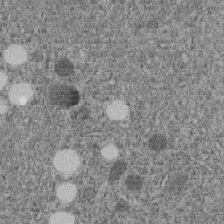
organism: C. elegans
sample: C. elegans embryo early stage